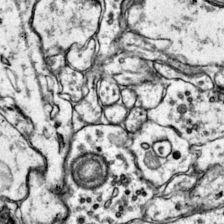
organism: Mouse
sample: Primary visual cortex